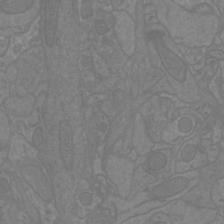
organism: Mouse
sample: Cortical neurons